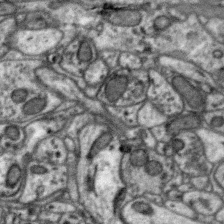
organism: Zebra finch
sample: Brain